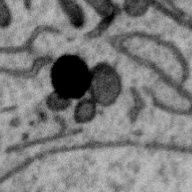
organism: Zebra finch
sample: Brain